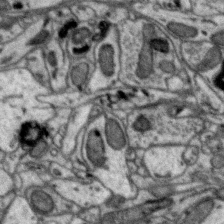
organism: Zebra finch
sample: Brain